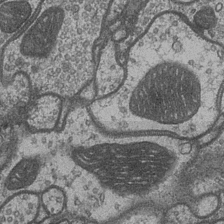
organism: Drosophila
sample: Optic medulla